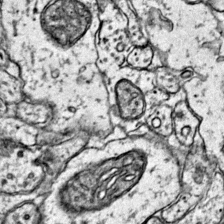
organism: Mouse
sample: Primary visual cortex